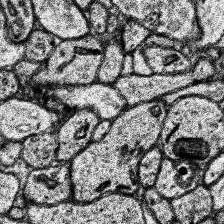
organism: Human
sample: Temporal Lobe